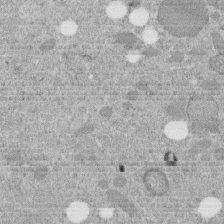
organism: C. elegans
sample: C. elegans embryo early stage